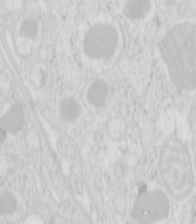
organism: Mouse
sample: Pancreas